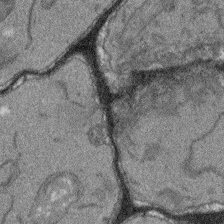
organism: Arabidopsis thaliana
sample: Root tip